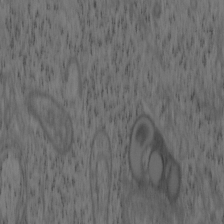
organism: Human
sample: HeLa cells